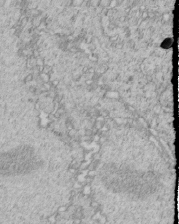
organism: C. elegans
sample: C. elegans embryo early stage